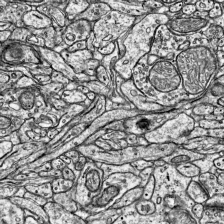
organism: Mouse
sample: Visual Cortex